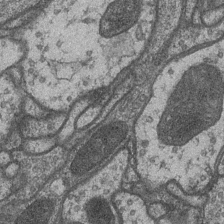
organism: Drosophila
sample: Optic medulla